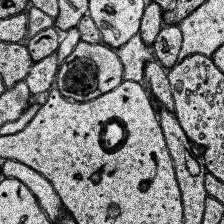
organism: Human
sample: Temporal Lobe